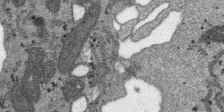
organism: Human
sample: Lung epithelial cells infected with SARS-CoV-2